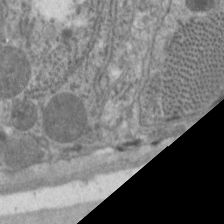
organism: C. elegans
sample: Pharynx